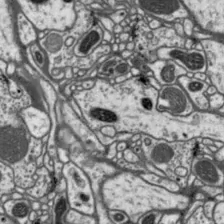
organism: Drosophila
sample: Protocerebral bridge